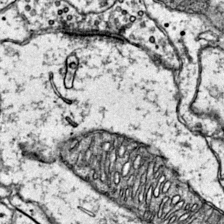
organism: Mouse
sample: Primary visual cortex